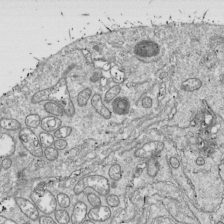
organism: Drosophila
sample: Cell division; meiosis; drosophila spermatocytes